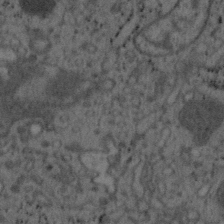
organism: Human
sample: HeLa cells